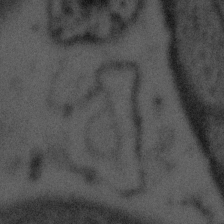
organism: Tuwongella immobilis